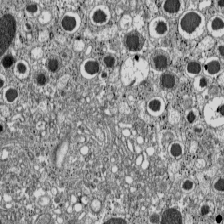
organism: C57BL Mouse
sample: Pancreatic islet